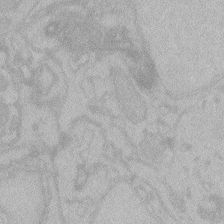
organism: Zebrafish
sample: Macrophage infected with Toxoplasma gondii